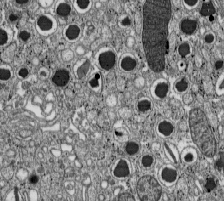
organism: C57BL Mouse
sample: Pancreatic islet